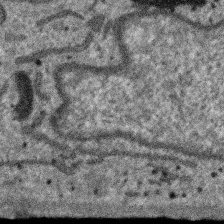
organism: Human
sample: Lung epithelial cells infected with SARS-CoV-2